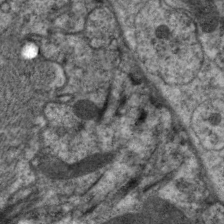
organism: C. elegans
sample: Pharynx